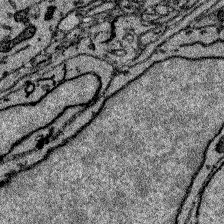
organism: Zebrafish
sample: Larval olfactory bulb